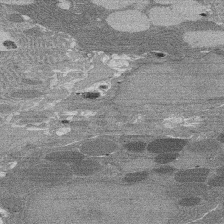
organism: Rat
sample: Salivary granule